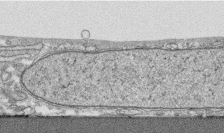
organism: Human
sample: CRL-1474